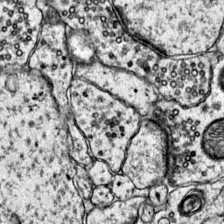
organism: Mouse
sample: Primary visual cortex